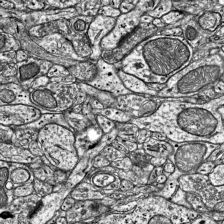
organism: Mouse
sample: Visual Cortex